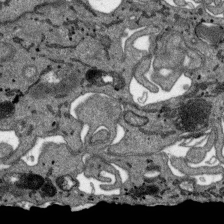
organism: Human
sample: Lung epithelial cells, uninfected (mock) control